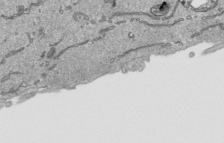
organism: Human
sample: Mitochondria in HCT116 cells